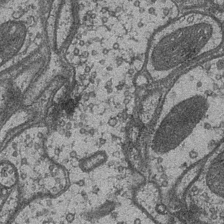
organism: Drosophila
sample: Optic medulla